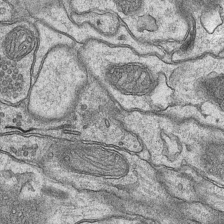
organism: Mouse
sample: CA1 Hippocampus